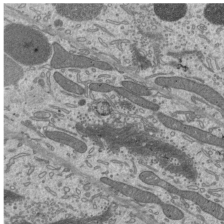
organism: Mouse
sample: Mouse epididymis efferent ductule cilia